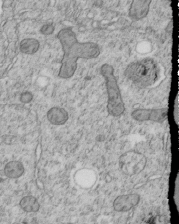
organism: C. elegans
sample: C. elegans embryo early stage